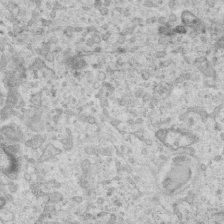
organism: Mouse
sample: Centriole in ependymal cells